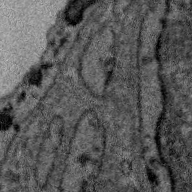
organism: Zebra finch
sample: Brain